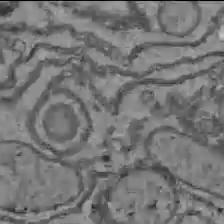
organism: C57BL Mouse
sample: Liver